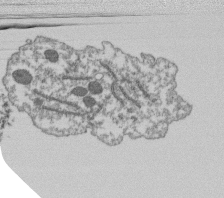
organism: Dictyostelium discoideum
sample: Dictyostelium multivesicular bodies